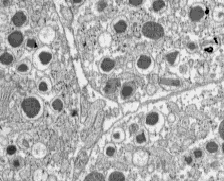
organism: C57BL Mouse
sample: Pancreatic islet